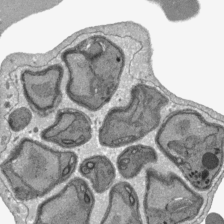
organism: Plasmodium falciparum